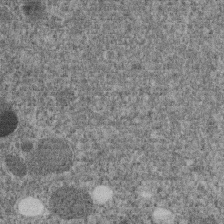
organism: C. elegans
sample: C. elegans embryo early stage